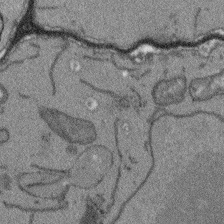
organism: Arabidopsis thaliana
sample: Root tip